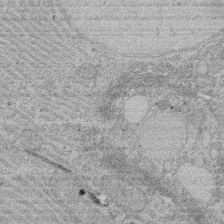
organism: Rat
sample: Salivary granule